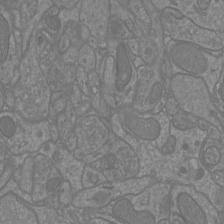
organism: Mouse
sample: Cortical neurons